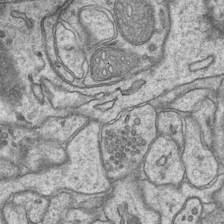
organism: Mouse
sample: CA1 Hippocampus